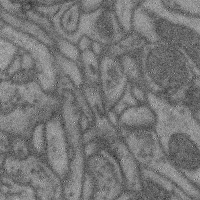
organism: Mouse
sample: Cerebral cortex